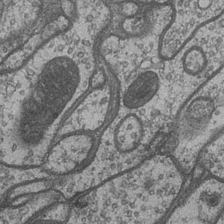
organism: Drosophila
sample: Optic medulla